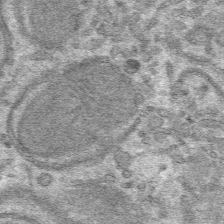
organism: Mouse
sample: Mouse hepatocytes